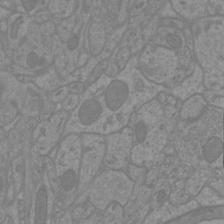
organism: Mouse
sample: Cortical neurons